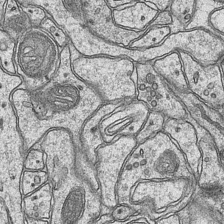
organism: Mouse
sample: CA1 Hippocampus